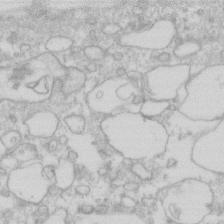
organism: Human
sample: Fibroblast cells